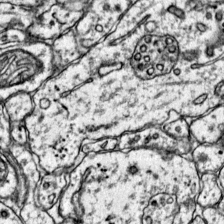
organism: Mouse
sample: Primary visual cortex